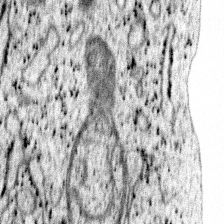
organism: Human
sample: HeLa cells